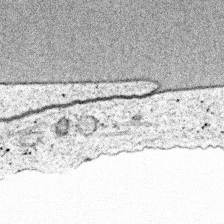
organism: Human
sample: HeLa cells